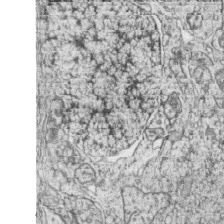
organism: Zebrafish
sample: synaptic ribbons in rod cells and cone cells